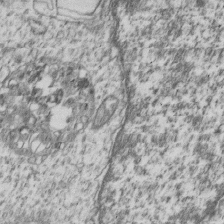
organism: Human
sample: MDA-MB-231 cells